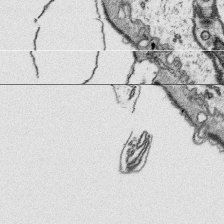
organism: Platynereis dumerilii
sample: Parapodia